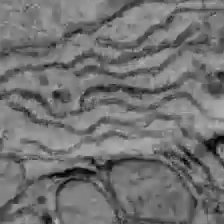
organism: C57BL Mouse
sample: Liver